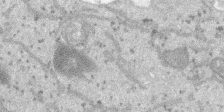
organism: Human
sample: Lung epithelial cells infected with SARS-CoV-2